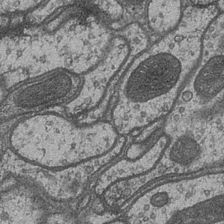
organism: Drosophila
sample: Optic medulla